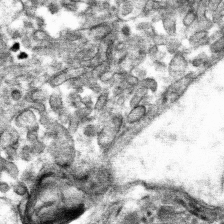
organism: Mouse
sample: Mouse hepatocytes